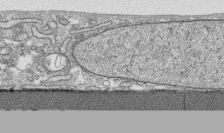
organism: Human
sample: CRL-1474